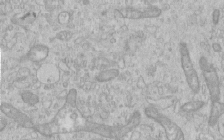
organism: Human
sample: Centriole in RPE cells